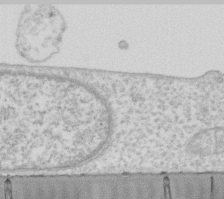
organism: Human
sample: Fibroblast cells